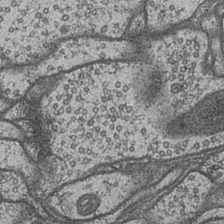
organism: Drosophila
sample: Optic medulla